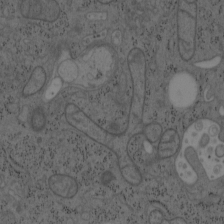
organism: Mouse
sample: OT-I killer T cells with ID8 ovarian cancer cells